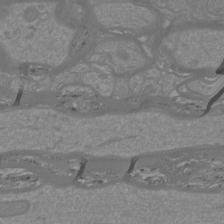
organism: Mouse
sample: Cortical neurons